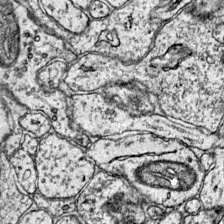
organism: Mouse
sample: Primary visual cortex